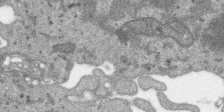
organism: Human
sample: Lung epithelial cells infected with SARS-CoV-2